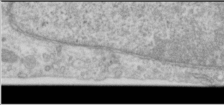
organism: Human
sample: Cilia; basal body in RPE cells